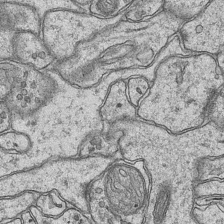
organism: Mouse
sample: CA1 Hippocampus